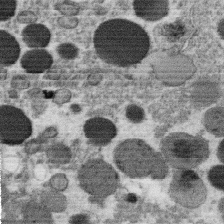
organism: C. elegans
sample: C. elegans oocyte; sperm cells